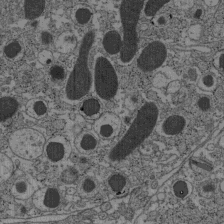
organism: C57BL Mouse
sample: Pancreatic islet